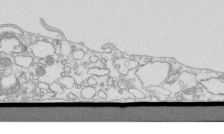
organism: Mouse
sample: Macrophages